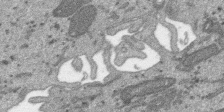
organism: Human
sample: Lung epithelial cells infected with SARS-CoV-2